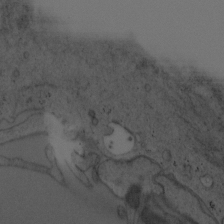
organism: Mouse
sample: OT-I killer T cells with ID8 ovarian cancer cells